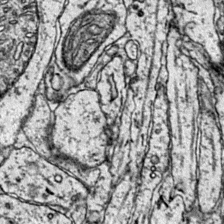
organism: Mouse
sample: Primary visual cortex